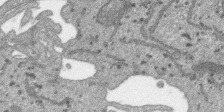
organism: Human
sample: Lung epithelial cells infected with SARS-CoV-2